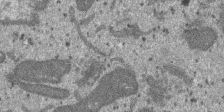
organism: Human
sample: Lung epithelial cells infected with SARS-CoV-2